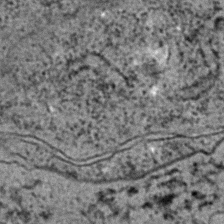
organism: C. elegans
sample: C. elegans embryo